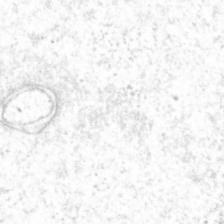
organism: Human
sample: HeLa cells